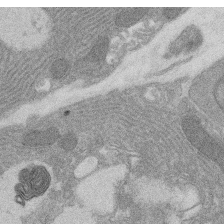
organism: Rat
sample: Salivary granule